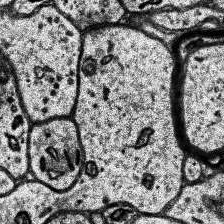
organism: Human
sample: Temporal Lobe